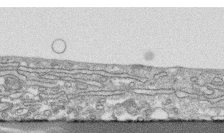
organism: Human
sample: CRL-1474